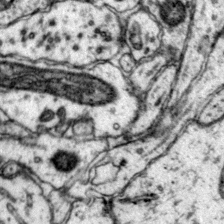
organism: Mouse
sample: Primary visual cortex